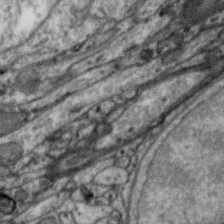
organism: Zebra finch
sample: Brain